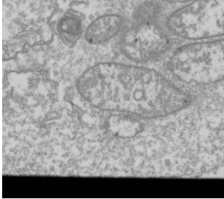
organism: Drosophila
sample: Cell division; meiosis; drosophila spermatocytes